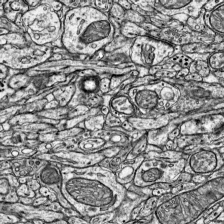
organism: Mouse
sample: Visual Cortex